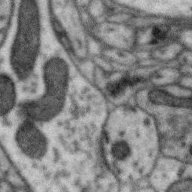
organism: Zebra finch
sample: Brain